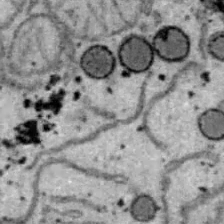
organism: Mouse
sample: Liver from an obese (ob/ob) mouse